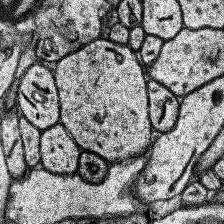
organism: Human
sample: Temporal Lobe